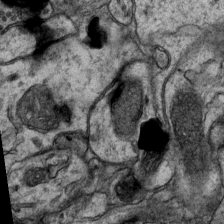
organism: Mouse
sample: CA1 Hippocampus